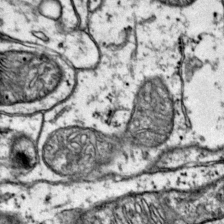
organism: Mouse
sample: Primary visual cortex